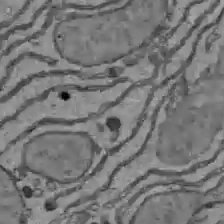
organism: C57BL Mouse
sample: Liver